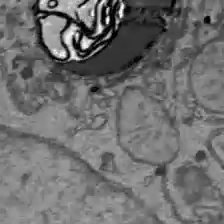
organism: C57BL Mouse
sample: Liver